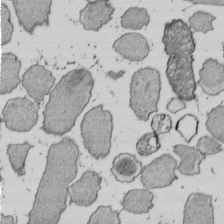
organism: E. coli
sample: Bacterial nucleoid